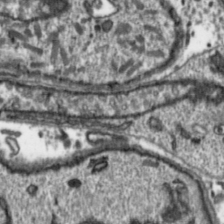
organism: Toxoplasma gondii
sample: Parasites in a vacuole inside a host cell